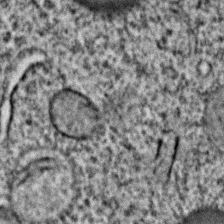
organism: C. elegans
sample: C. elegans embryo